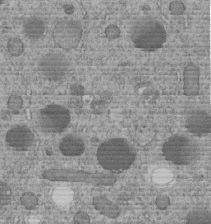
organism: C. elegans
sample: C. elegans embryo early stage